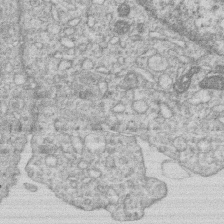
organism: Human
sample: Macrophage cells